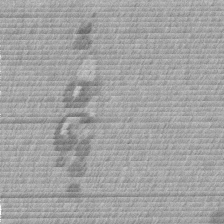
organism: Mouse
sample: Dividing mouse embryo 1 cell stage